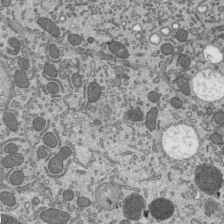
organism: Mouse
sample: Mouse epididymis efferent ductule cilia